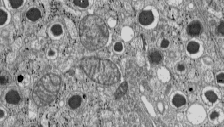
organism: C57BL Mouse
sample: Pancreatic islet